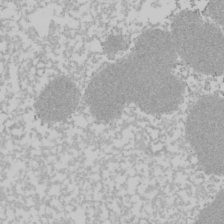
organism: Mouse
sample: Cancer cell death in ED-1 cells